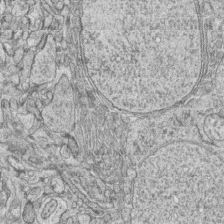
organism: Zebrafish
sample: synaptic ribbons in rod cells and cone cells